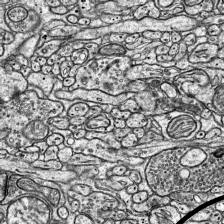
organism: Mouse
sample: Visual Cortex